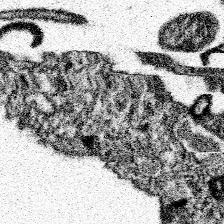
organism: Spongilla lacustris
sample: Neuroid cell